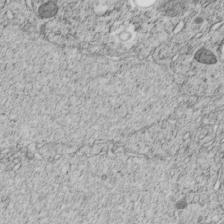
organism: C. elegans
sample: C. elegans embryo early stage